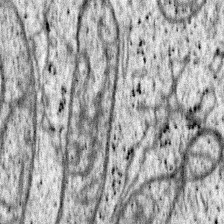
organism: Human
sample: HeLa cells